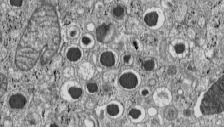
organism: C57BL Mouse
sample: Pancreatic islet